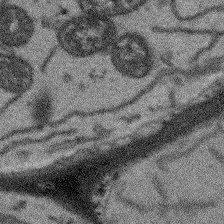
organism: Arabidopsis thaliana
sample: Root tip